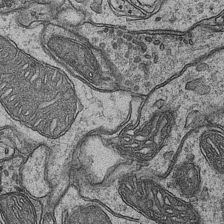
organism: Mouse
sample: CA1 Hippocampus